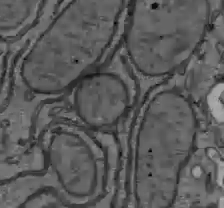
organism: C57BL Mouse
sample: Liver